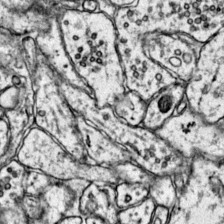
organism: Mouse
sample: Primary visual cortex